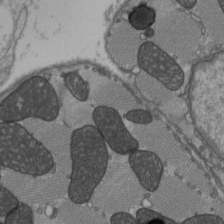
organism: C57BL Mouse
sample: Heart